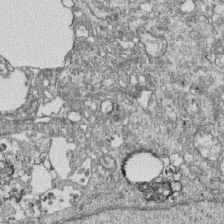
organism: Human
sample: HeLa cell HIV synapse